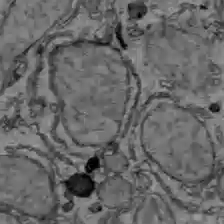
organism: C57BL Mouse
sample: Liver